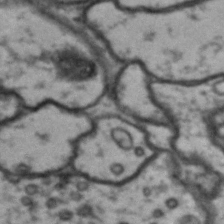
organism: Drosophila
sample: Brain